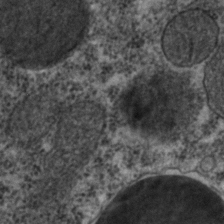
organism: C. elegans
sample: C. elegans embryo